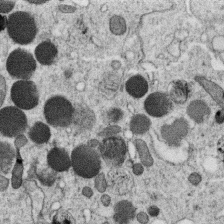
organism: C. elegans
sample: C. elegans oocyte; sperm cells